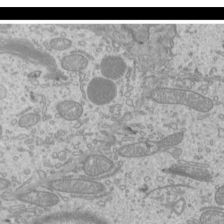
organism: Mouse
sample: Cilia; mouse epididymis